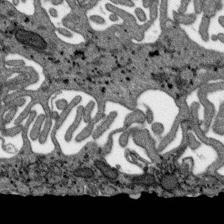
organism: Human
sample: Lung epithelial cells, uninfected (mock) control